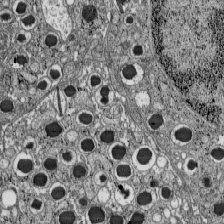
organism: C57BL Mouse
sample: Pancreatic islet